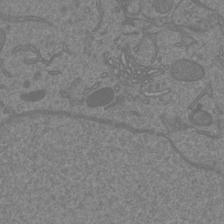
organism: Mouse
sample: Cortical neurons